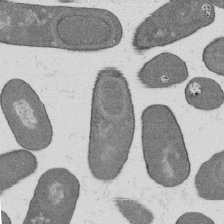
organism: B. subtilis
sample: Bacterial spore